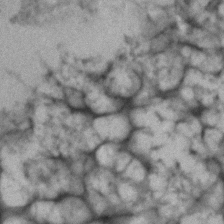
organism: Human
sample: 1205lu cells